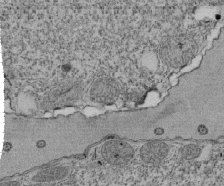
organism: Tetrahymena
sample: Cilia in tetrahymena